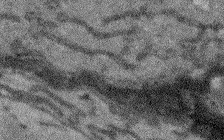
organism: Arabidopsis thaliana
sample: Root tip